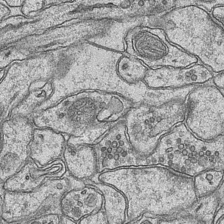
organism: Mouse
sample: CA1 Hippocampus